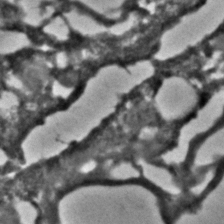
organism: C. elegans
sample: C. elegans embryo